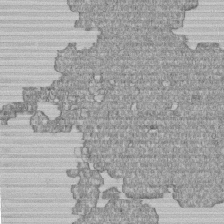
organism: Human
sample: MDA-MB-231 cells